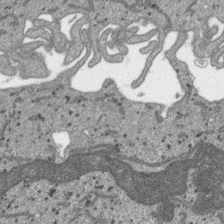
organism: Human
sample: Lung epithelial cells infected with SARS-CoV-2